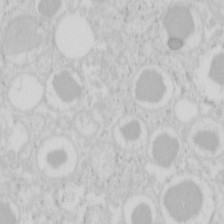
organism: Mouse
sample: Pancreas